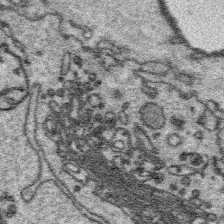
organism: Platynereis dumerilii